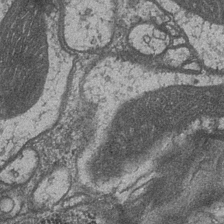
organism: Drosophila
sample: Optic medulla